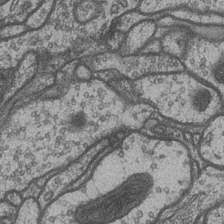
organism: Drosophila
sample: Optic medulla